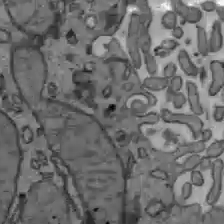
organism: C57BL Mouse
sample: Liver